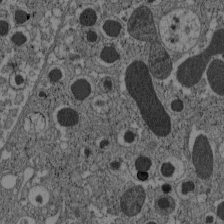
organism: C57BL Mouse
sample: Pancreatic islet